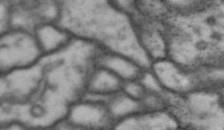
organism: Drosophila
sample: Brain